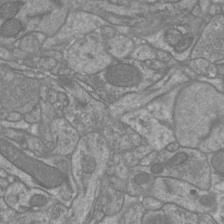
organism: Mouse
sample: Cortical neurons